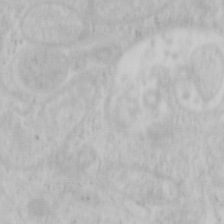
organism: Mouse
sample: OT-I killer T cells with ID8 ovarian cancer cells